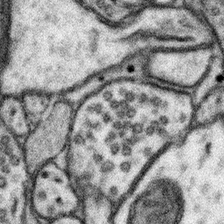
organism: Mouse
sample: Somatosensory cortex neuropil